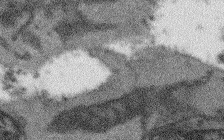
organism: Arabidopsis thaliana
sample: Root tip